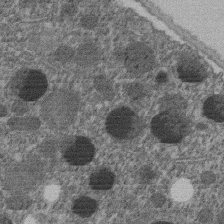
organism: C. elegans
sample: C. elegans embryo early stage